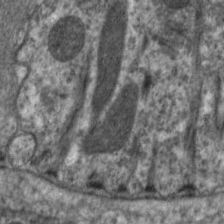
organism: C. elegans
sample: Pharynx